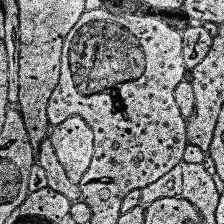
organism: Human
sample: Temporal Lobe